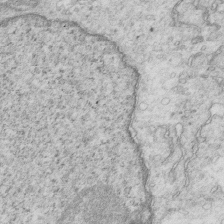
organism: Mouse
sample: Multiciliated cells